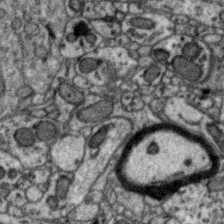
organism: Zebra finch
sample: Brain